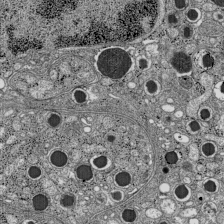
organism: C57BL Mouse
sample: Pancreatic islet